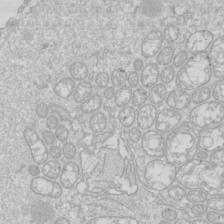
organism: Drosophila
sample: Cell division; meiosis; drosophila spermatocytes